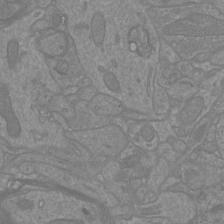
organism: Mouse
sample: Cortical neurons